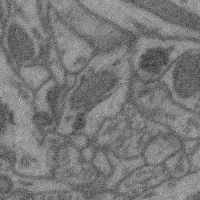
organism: Mouse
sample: Cerebral cortex